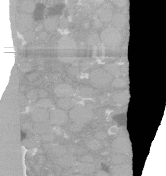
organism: C. elegans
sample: C. elegans oocyte; sperm cells